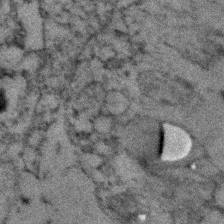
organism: Zebrafish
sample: Zebrafish embryo